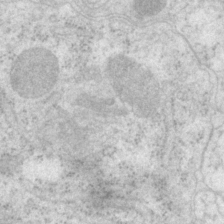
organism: P. pacificus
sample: Pharynx